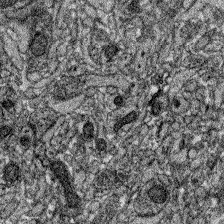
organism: Zebrafish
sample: Larval olfactory bulb